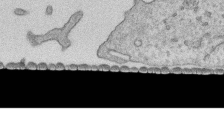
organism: Human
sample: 1205lu cells